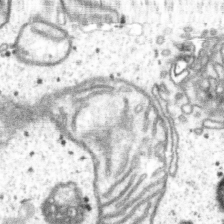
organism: Human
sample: HeLa cells